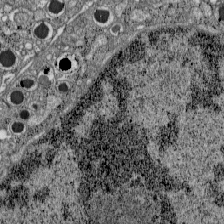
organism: C57BL Mouse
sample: Pancreatic islet